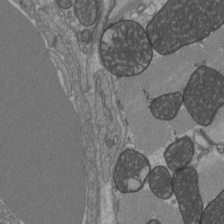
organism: C57BL Mouse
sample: Heart